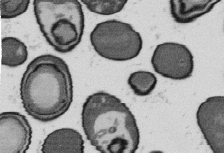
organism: B. subtilis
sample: Bacterial spore